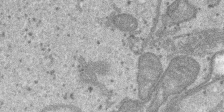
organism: Human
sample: Lung epithelial cells infected with SARS-CoV-2